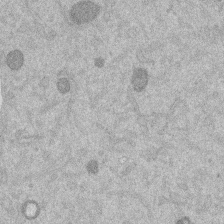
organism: Mouse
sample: Dividing mouse embryo 1 cell stage